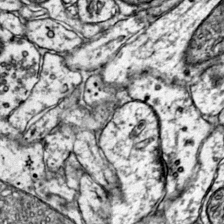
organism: Mouse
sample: Primary visual cortex